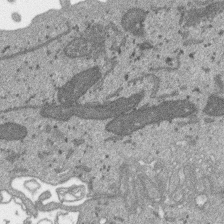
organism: Human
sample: Lung epithelial cells infected with SARS-CoV-2